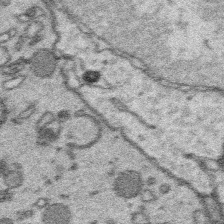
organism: Platynereis dumerilii